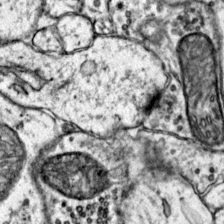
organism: Mouse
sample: Primary visual cortex